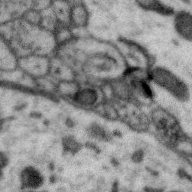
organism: Zebra finch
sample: Brain